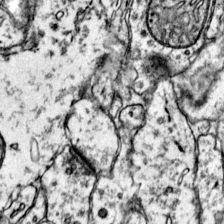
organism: Mouse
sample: Primary visual cortex